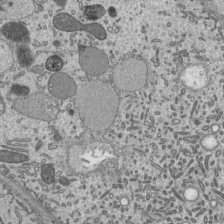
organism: Mouse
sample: Mouse epididymis efferent ductule cilia